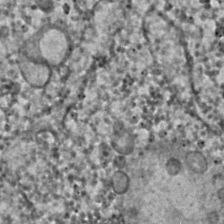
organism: C. elegans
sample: C. elegans embryo